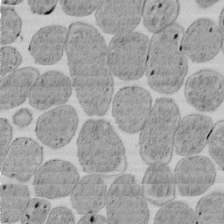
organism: E. coli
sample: Bacterial nucleoid